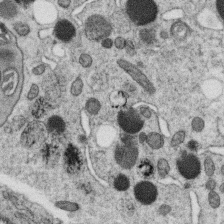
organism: C. elegans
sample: C. elegans oocyte; sperm cells